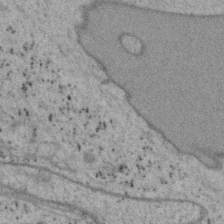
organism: Human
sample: HeLa cells